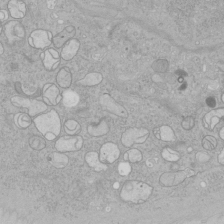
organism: Human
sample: Mitochondria in HCT116 cells